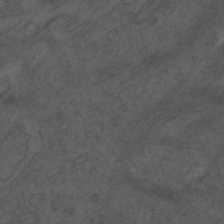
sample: Trachea